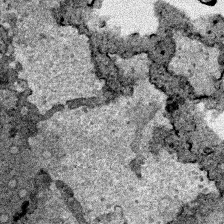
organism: Human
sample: Mitochondria in HCT116 cells